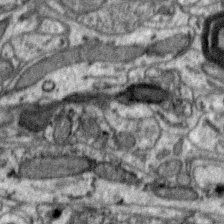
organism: Zebra finch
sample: Brain